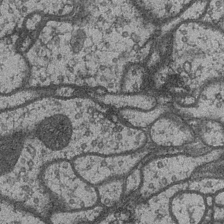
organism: Drosophila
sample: Optic medulla